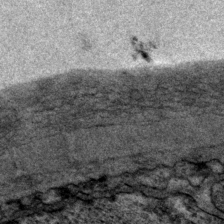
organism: P. pacificus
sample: Pharynx